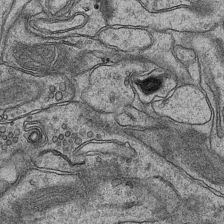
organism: Mouse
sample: CA1 Hippocampus